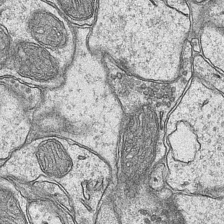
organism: Mouse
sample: CA1 Hippocampus